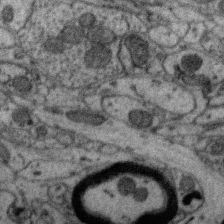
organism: Zebra finch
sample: Brain